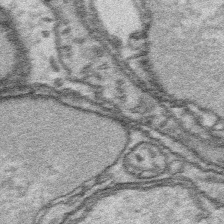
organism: Platynereis dumerilii